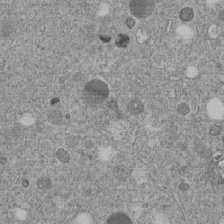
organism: C. elegans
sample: C. elegans embryo early stage